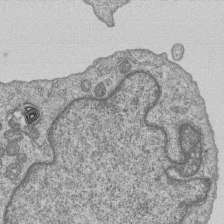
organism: Human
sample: MDA-MB-231 cells